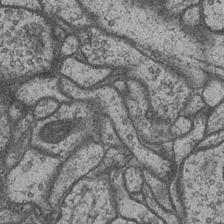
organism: Drosophila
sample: Optic medulla